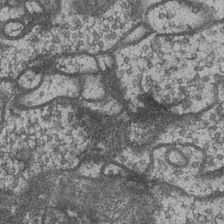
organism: Drosophila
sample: Optic medulla